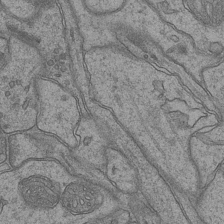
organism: Mouse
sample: CA1 Hippocampus